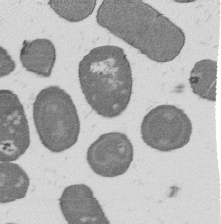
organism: B. subtilis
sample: Bacterial spore